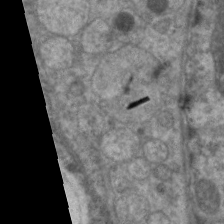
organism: C. elegans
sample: Pharynx